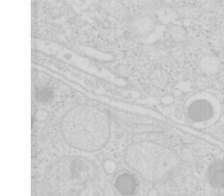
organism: Mouse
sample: Pancreas